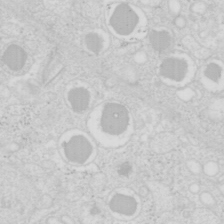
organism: Mouse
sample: Pancreas